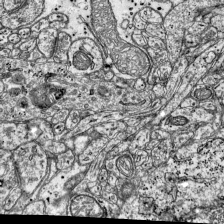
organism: Mouse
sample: Visual Cortex